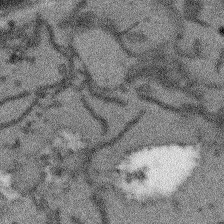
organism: Arabidopsis thaliana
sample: Root tip